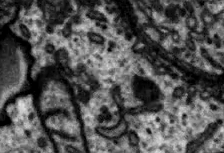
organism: Human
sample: HeLa cells